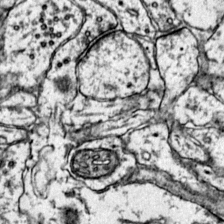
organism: Mouse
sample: Primary visual cortex